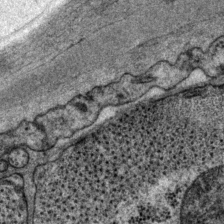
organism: P. pacificus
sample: Pharynx